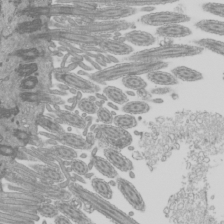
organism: Mouse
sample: Cilia; mouse epididymis